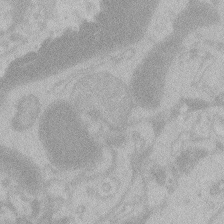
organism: Zebrafish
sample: Macrophage infected with Toxoplasma gondii